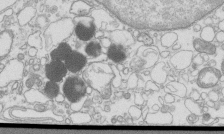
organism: Mouse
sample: Macrophages